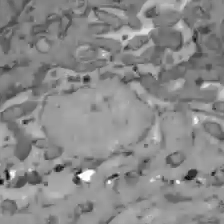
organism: C57BL Mouse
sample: Liver